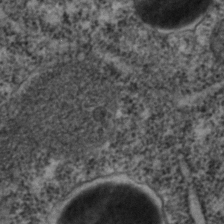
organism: C. elegans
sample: C. elegans embryo